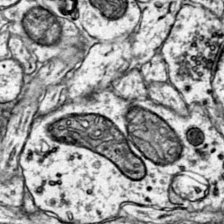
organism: Mouse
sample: Primary visual cortex